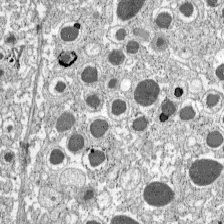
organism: C57BL Mouse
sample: Pancreatic islet